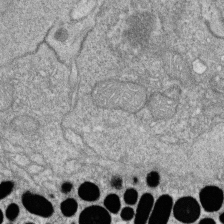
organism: Zebrafish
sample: Cilia; retinal pigment epithelium